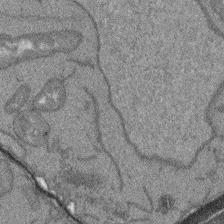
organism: Arabidopsis thaliana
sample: Root tip